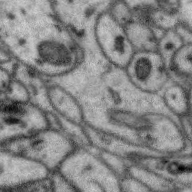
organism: Zebra finch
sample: Brain